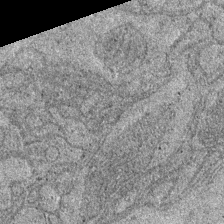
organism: Drosophila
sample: Optic medulla